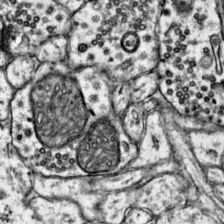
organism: Mouse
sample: Primary visual cortex